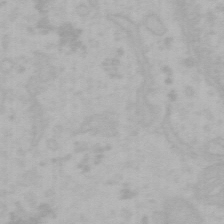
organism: Mouse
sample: Choroid plexus